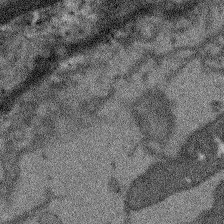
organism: Arabidopsis thaliana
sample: Root tip